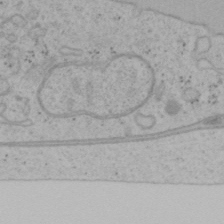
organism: Human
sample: HeLa cells